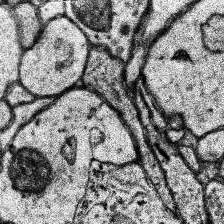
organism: Human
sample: Temporal Lobe